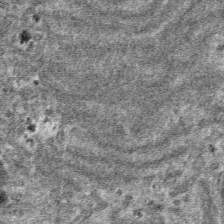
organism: Mouse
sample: Mouse hepatocytes